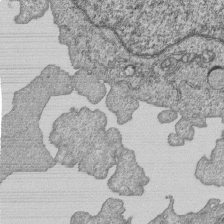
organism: Human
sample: MDA-MB-231 cells